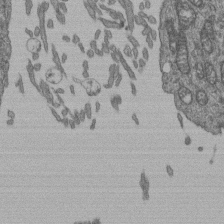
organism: Human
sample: Retinal organoid Rod and Cone cells